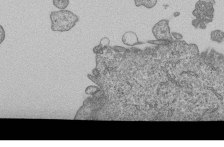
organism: Human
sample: MDA-MB-231 cells